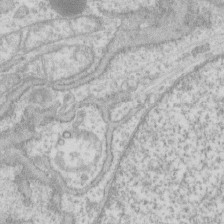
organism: Human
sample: Fibroblast cells